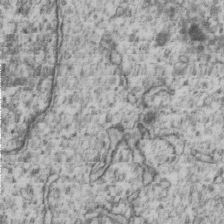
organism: Human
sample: MDA-MB-231 cells